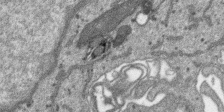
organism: Human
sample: Lung epithelial cells infected with SARS-CoV-2